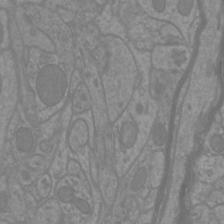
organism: Mouse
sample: Cortical neurons